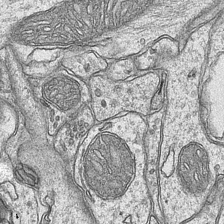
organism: Mouse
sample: CA1 Hippocampus